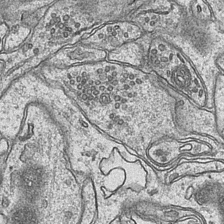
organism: Mouse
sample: CA1 Hippocampus